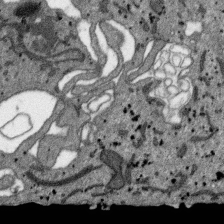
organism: Human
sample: Lung epithelial cells, uninfected (mock) control